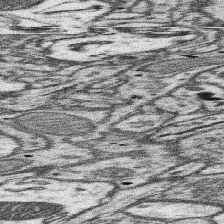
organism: Mouse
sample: Somatosensory cortex neuropil